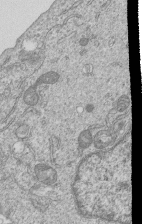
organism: Human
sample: MDA-MB-231 cells